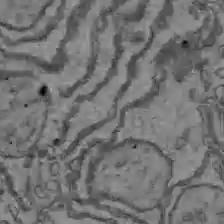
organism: C57BL Mouse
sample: Liver